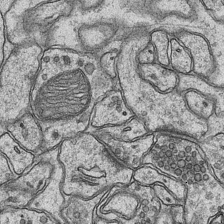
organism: Mouse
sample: CA1 Hippocampus